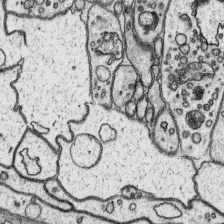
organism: Platynereis dumerilii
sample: Parapodia